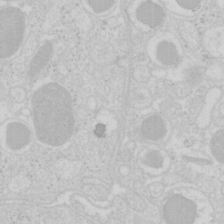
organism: Mouse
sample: Pancreas